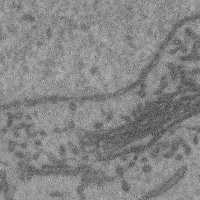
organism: Mouse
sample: Cerebral cortex